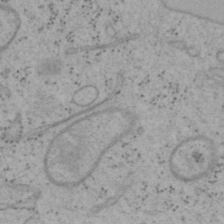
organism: Human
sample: HeLa cells